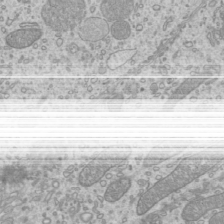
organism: Mouse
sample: Cilia; mouse epididymis